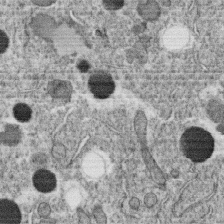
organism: C. elegans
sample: C. elegans oocyte; sperm cells